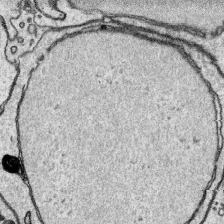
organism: Platynereis dumerilii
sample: Parapodia